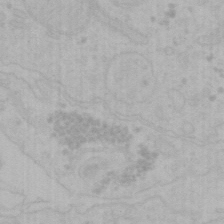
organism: Mouse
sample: Choroid plexus